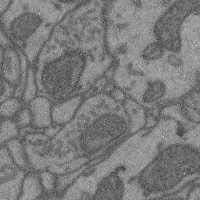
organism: Mouse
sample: Cerebral cortex